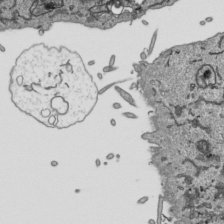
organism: Human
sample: Mitochondria in HCT116 cells